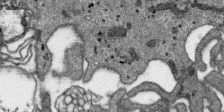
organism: Human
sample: Lung epithelial cells, uninfected (mock) control